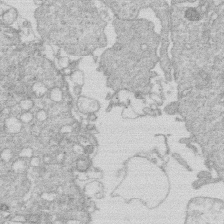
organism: Human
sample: Macrophage cells